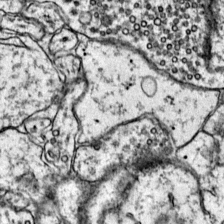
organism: Mouse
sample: Primary visual cortex